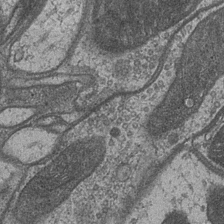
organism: Drosophila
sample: Optic medulla